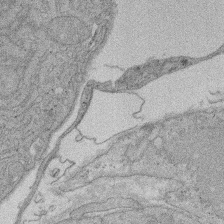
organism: Rat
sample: Salivary granule